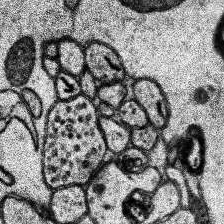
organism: Human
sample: Temporal Lobe